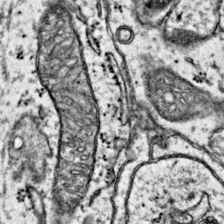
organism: Mouse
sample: Primary visual cortex